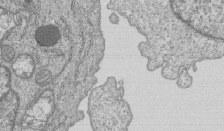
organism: Human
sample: MDA-MB-231 cells